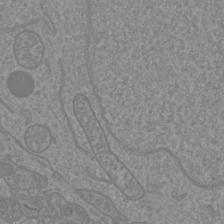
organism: Mouse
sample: Cortical neurons